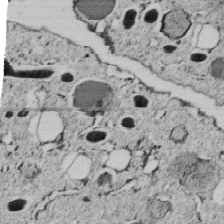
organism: C. elegans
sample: C. elegans embryo early stage